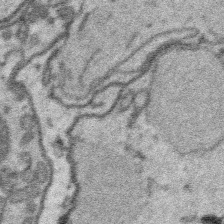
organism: Platynereis dumerilii